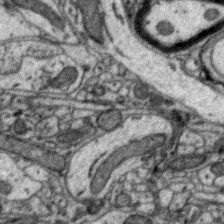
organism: Zebra finch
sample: Brain